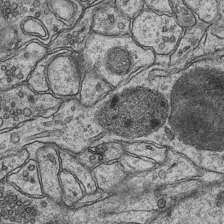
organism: Mouse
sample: CA1 Hippocampus